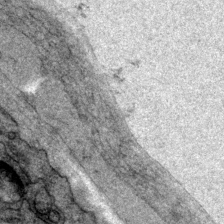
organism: P. pacificus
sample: Pharynx